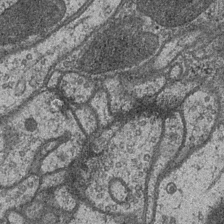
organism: Drosophila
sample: Optic medulla